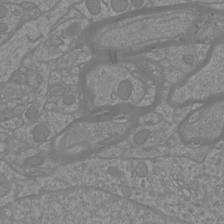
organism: Mouse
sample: Cortical neurons